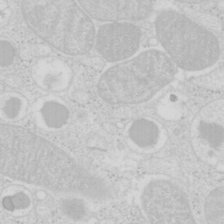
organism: Mouse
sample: Pancreas